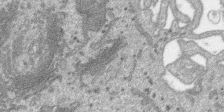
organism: Human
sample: Lung epithelial cells infected with SARS-CoV-2